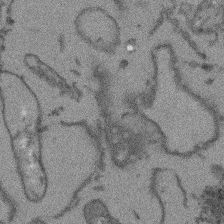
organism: Arabidopsis thaliana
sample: Root tip